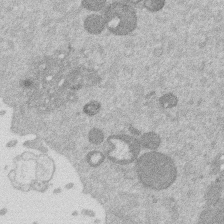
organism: Mouse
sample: Dividing mouse embryo 1 cell stage